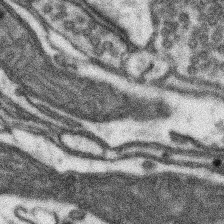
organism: Mouse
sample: Somatosensory cortex neuropil